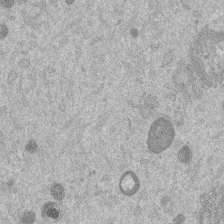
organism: Mouse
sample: Dividing mouse embryo 1 cell stage